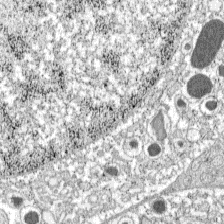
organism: C57BL Mouse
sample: Pancreatic islet